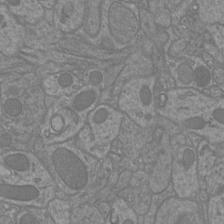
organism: Mouse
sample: Cortical neurons